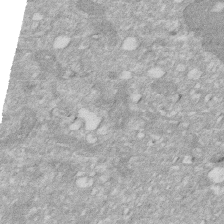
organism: Human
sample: HIV infected U937 cells